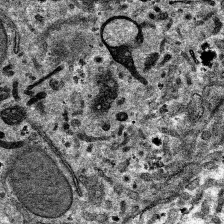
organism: Mouse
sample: Mouse hepatocytes